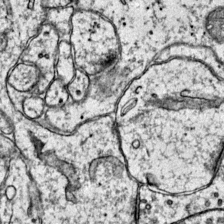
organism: Mouse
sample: Primary visual cortex